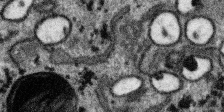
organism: Human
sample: Lung epithelial cells infected with SARS-CoV-2